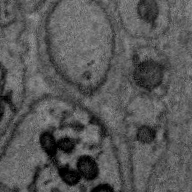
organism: Zebra finch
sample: Brain